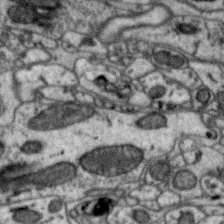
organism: Zebra finch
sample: Brain